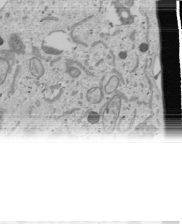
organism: Human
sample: Mitochondria in U2OS cells